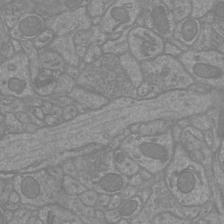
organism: Mouse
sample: Cortical neurons